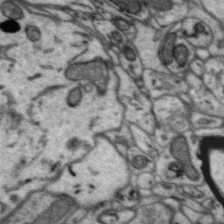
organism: Zebra finch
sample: Brain